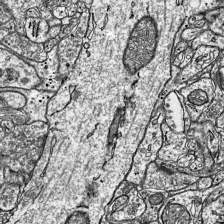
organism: Mouse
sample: Visual Cortex